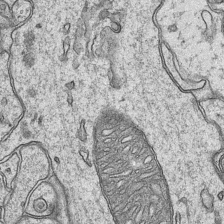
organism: Mouse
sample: CA1 Hippocampus